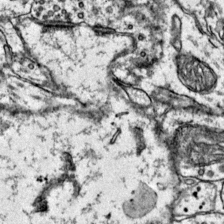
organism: Mouse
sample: Primary visual cortex